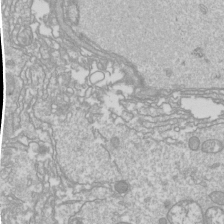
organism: Drosophila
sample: Cell division; meiosis; drosophila spermatocytes